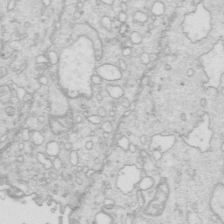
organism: Mouse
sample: Multiciliated cells